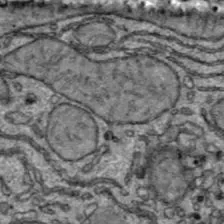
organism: C57BL Mouse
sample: Liver